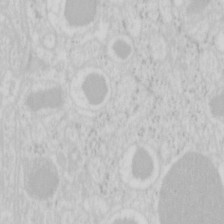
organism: Mouse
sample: Pancreas